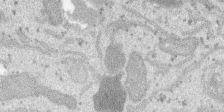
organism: Human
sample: Lung epithelial cells infected with SARS-CoV-2